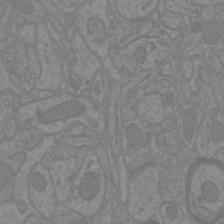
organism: Mouse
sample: Cortical neurons